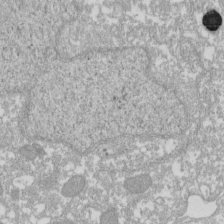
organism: Xenopus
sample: Cilia; centrioles in frog embryo cells